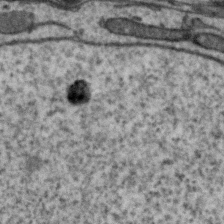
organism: Zebra finch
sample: Brain